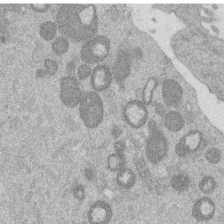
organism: Mouse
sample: Dividing mouse embryo 1 cell stage